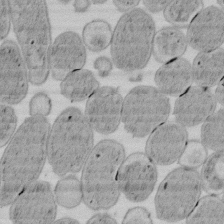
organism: E. coli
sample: Bacterial nucleoid